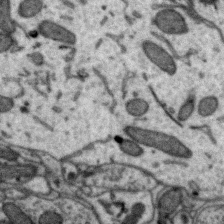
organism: Zebra finch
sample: Brain